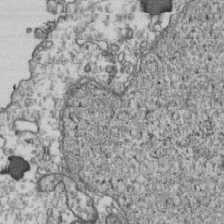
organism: Human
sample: Activated Jurkat CD4+ T cells